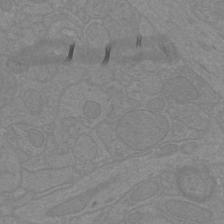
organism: Mouse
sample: Cortical neurons